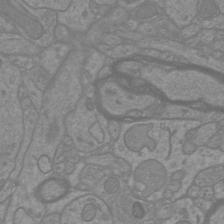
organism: Mouse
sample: Cortical neurons